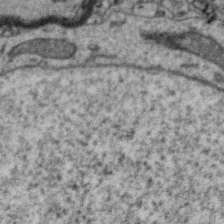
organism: Zebra finch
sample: Brain